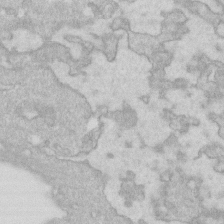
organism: Human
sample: Fibroblast cells